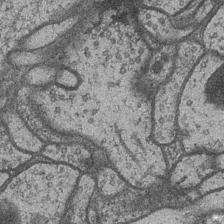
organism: Drosophila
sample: Optic medulla